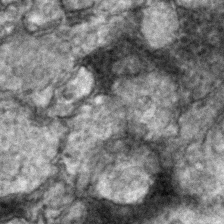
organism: Zebrafish